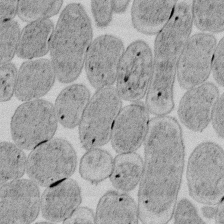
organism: E. coli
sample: Bacterial nucleoid